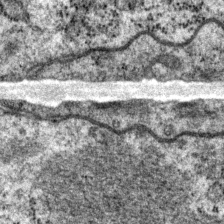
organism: P. pacificus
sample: Pharynx